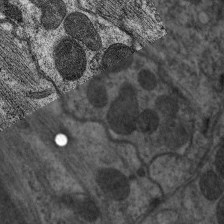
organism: C. elegans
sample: Pharynx